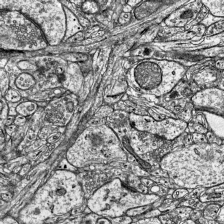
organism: Mouse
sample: Visual Cortex